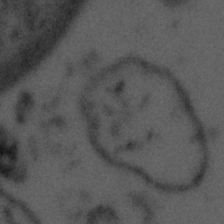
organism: Tuwongella immobilis